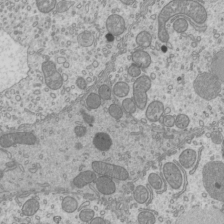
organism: Mouse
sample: Cilia; mouse epididymis